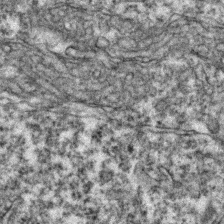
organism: Zebrafish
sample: Zebrafish embryo